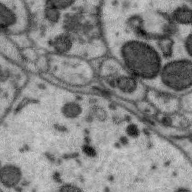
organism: Zebra finch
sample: Brain